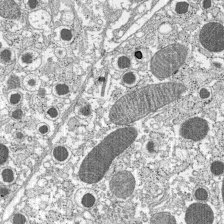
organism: C57BL Mouse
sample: Pancreatic islet